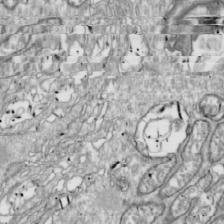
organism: Drosophila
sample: Cell division; meiosis; drosophila spermatocytes